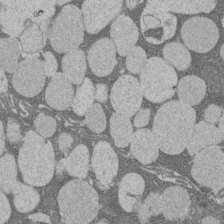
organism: Rat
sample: Salivary granule